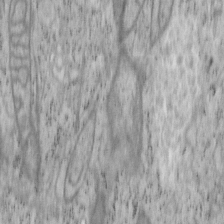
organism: Human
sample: HeLa cells